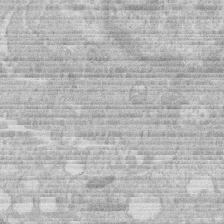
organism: Human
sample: Macrophage cells